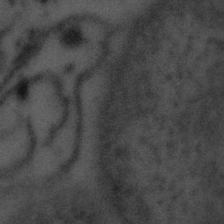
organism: Tuwongella immobilis